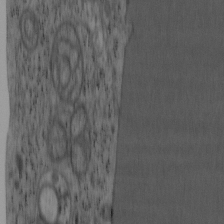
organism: Human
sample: HeLa cells